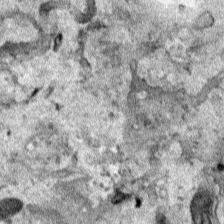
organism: Human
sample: Mitochondria in HCT116 cells